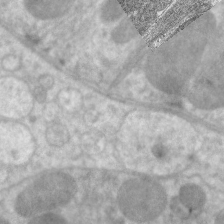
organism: C. elegans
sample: Pharynx